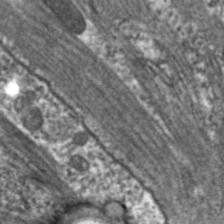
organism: C. elegans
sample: Pharynx